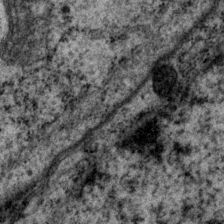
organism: P. pacificus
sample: Pharynx